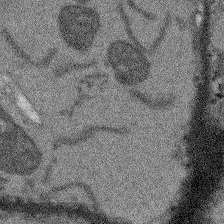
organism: Arabidopsis thaliana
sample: Root tip